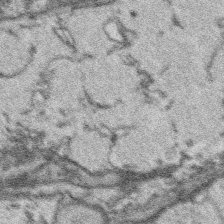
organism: Platynereis dumerilii